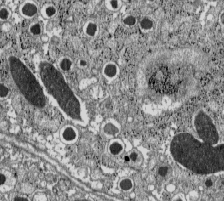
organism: C57BL Mouse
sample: Pancreatic islet